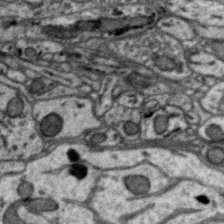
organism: Zebra finch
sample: Brain